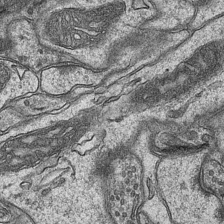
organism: Mouse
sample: CA1 Hippocampus